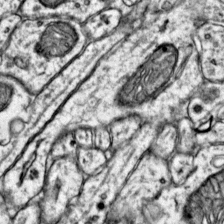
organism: Mouse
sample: Primary visual cortex